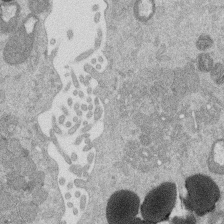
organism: Mouse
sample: Dividing mouse embryo 1 cell stage